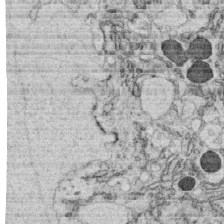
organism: C. elegans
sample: C. elegans oocyte; sperm cells